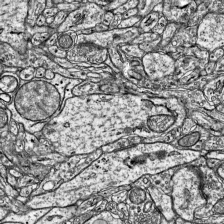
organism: Mouse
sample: Visual Cortex